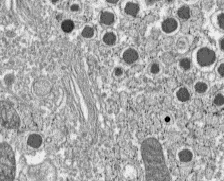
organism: C57BL Mouse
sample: Pancreatic islet